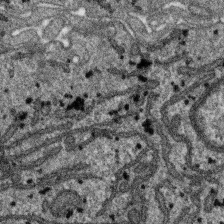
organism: Human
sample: Lung epithelial cells infected with SARS-CoV-2